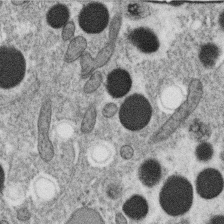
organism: C. elegans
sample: C. elegans oocyte; sperm cells